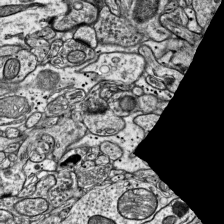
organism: Mouse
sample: Visual Cortex